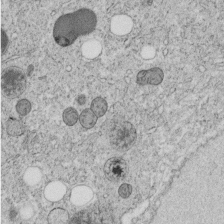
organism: C. elegans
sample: C. elegans embryo early stage